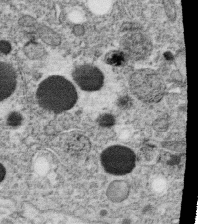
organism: C. elegans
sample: C. elegans oocyte; sperm cells